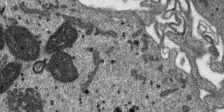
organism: Human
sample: Lung epithelial cells infected with SARS-CoV-2